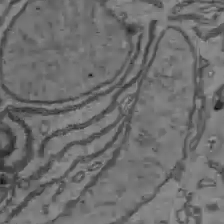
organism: C57BL Mouse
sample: Liver